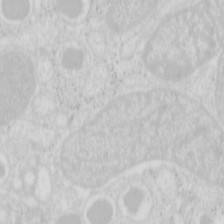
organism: Mouse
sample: Pancreas